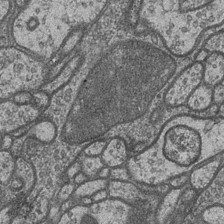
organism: Drosophila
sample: Optic medulla